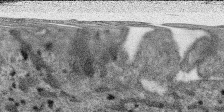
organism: Human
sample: Lung epithelial cells infected with SARS-CoV-2